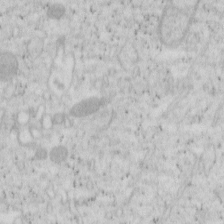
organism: Human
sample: HeLa cells